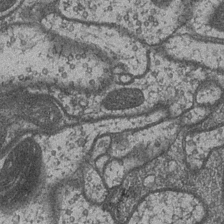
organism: Drosophila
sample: Optic medulla